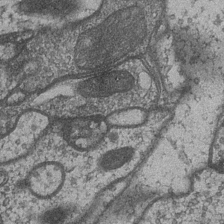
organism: Drosophila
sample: Optic medulla